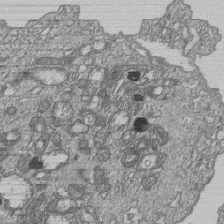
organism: Human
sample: MDA-MB-231 cells